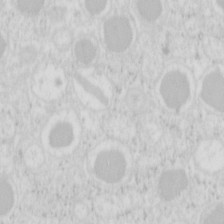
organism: Mouse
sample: Pancreas